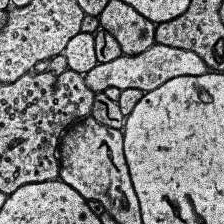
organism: Human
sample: Temporal Lobe